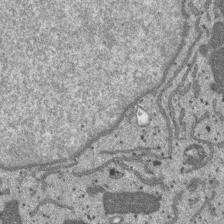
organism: Human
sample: Lung epithelial cells infected with SARS-CoV-2